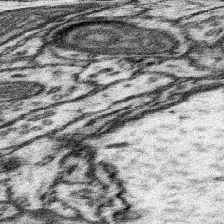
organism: Mouse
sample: Somatosensory cortex neuropil